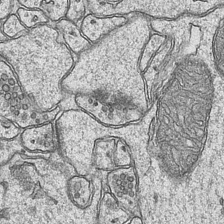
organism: Mouse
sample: CA1 Hippocampus